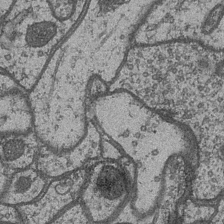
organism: Drosophila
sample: Optic medulla